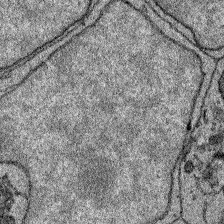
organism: Zebrafish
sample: Larval olfactory bulb